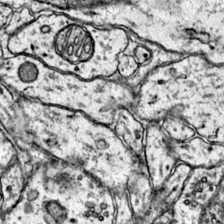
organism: Mouse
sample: Primary visual cortex